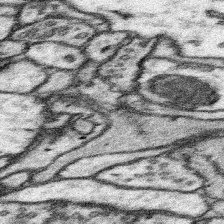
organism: Mouse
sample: Somatosensory cortex neuropil